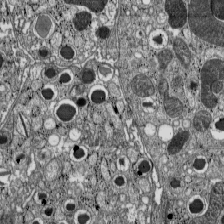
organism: C57BL Mouse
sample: Pancreatic islet